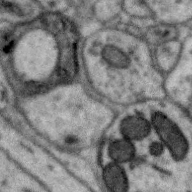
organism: Zebra finch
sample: Brain